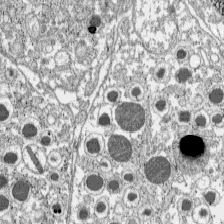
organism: C57BL Mouse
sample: Pancreatic islet